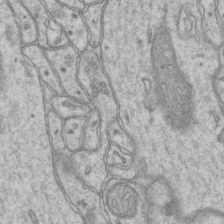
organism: Mouse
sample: CA1 Hippocampus